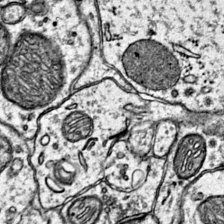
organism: Mouse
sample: Primary visual cortex